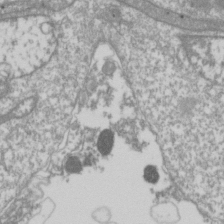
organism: Drosophila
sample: Cell division; meiosis; drosophila spermatocytes